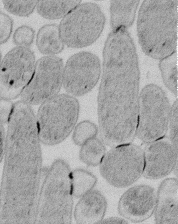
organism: E. coli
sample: Bacterial nucleoid